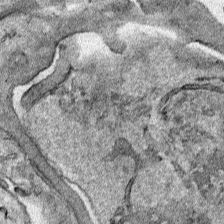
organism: Human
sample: Mitochondria in HCT116 cells